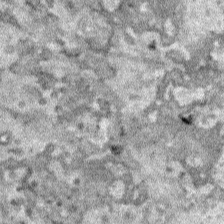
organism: Human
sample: Mitochondria in HCT116 cells